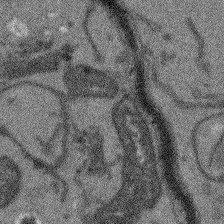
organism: Arabidopsis thaliana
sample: Root tip